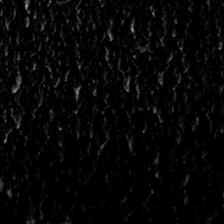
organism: Toxoplasma gondii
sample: Parasites in a vacuole inside a host cell